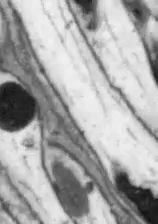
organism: Drosophila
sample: Optic lobe